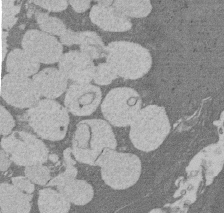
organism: Rat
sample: Salivary granule